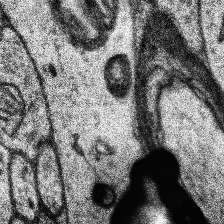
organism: Human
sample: Temporal Lobe